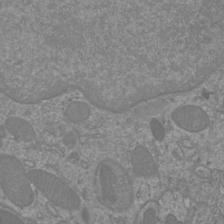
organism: Mouse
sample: Cortical neurons